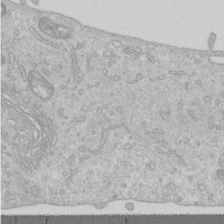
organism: Human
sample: Centriole in RPE cells